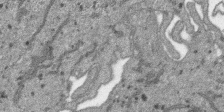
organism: Human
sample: Lung epithelial cells infected with SARS-CoV-2